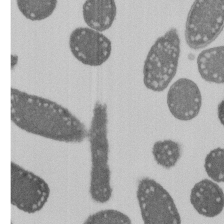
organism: E. coli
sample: Bacterial nucleoid